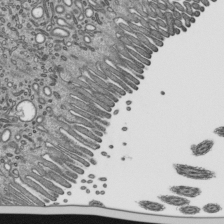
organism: Mouse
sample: Mouse epididymis efferent ductule cilia